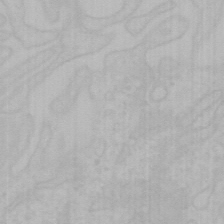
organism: Mouse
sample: Choroid plexus